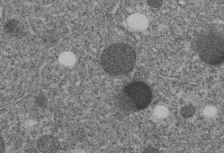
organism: C. elegans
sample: C. elegans embryo early stage